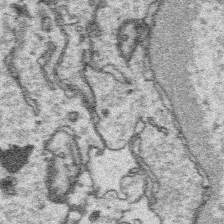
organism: Platynereis dumerilii